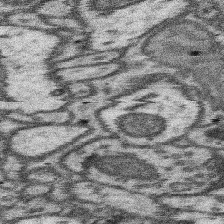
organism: Mouse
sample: Somatosensory cortex neuropil